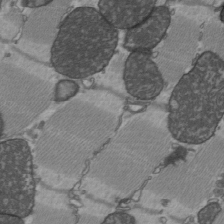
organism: C57BL Mouse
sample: Heart